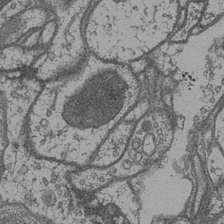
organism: Drosophila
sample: Optic medulla